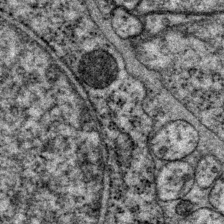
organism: P. pacificus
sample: Pharynx